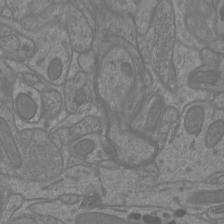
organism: Mouse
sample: Cortical neurons